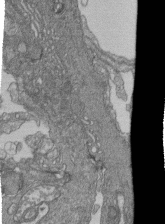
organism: Human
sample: Retinal organoid Rod and Cone cells